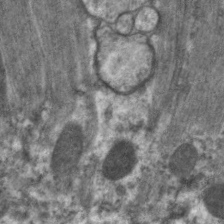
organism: C. elegans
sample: Pharynx